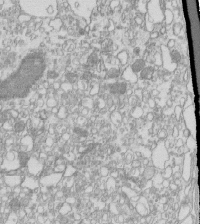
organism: Mouse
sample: Macrophages